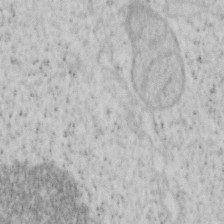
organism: Human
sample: HeLa cells